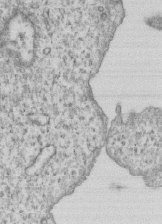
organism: Human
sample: MDA-MB-231 cells